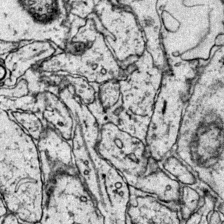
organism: Mouse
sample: Primary visual cortex